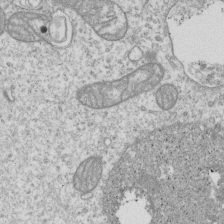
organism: Human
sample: MDA-MB-231 cells